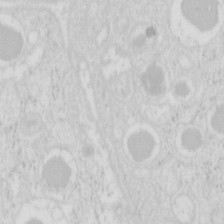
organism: Mouse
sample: Pancreas